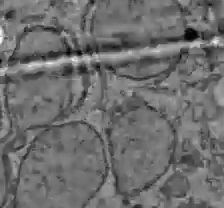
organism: C57BL Mouse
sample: Liver